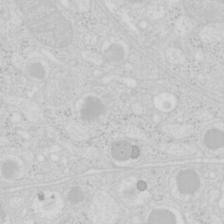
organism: Mouse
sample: Pancreas